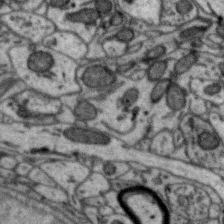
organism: Zebra finch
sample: Brain